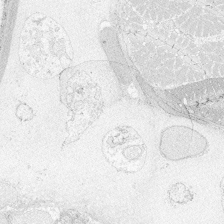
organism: Zebrafish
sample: Whole-Brain